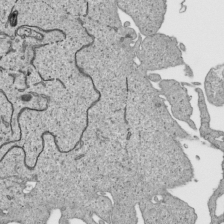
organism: Human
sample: Mitochondria in HCT116 cells